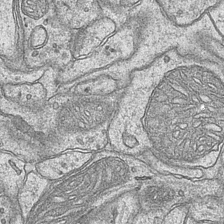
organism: Mouse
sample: CA1 Hippocampus